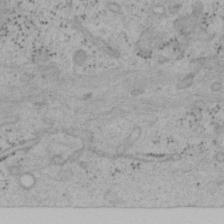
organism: Human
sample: HeLa cells